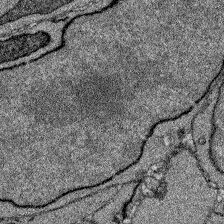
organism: Zebrafish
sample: Larval olfactory bulb